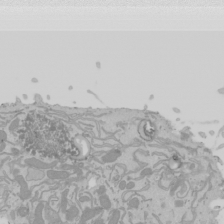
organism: Mouse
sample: Cancer cell death in ED-1 cells